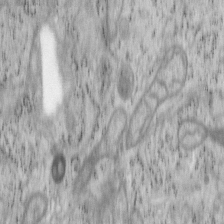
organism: Human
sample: HeLa cells